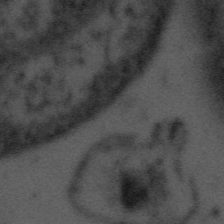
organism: Tuwongella immobilis